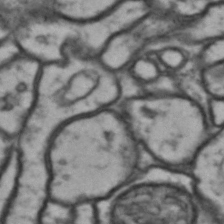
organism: Drosophila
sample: Brain